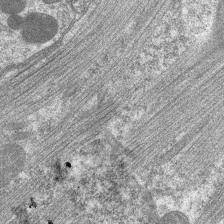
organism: C. elegans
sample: Pharynx